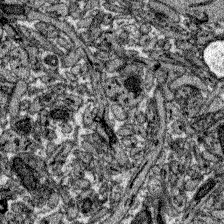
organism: Zebrafish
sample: Larval olfactory bulb